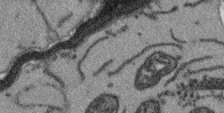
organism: Arabidopsis thaliana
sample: Root tip